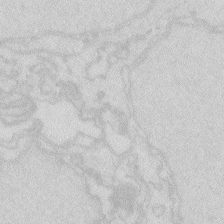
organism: Zebrafish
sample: Macrophage